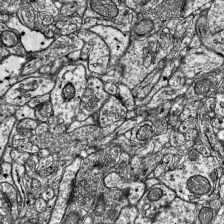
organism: Mouse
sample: Visual Cortex